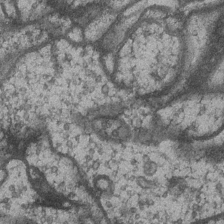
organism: Drosophila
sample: Optic medulla